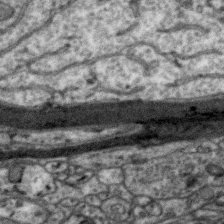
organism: Zebra finch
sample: Brain